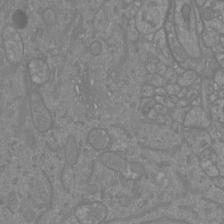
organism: Mouse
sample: Cortical neurons